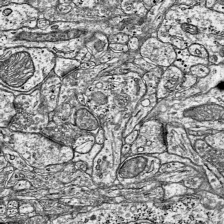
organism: Mouse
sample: Visual Cortex